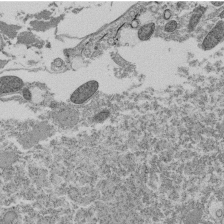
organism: Tetrahymena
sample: Cilia in tetrahymena